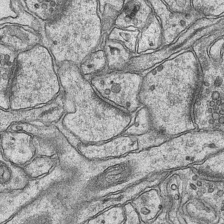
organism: Mouse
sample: CA1 Hippocampus